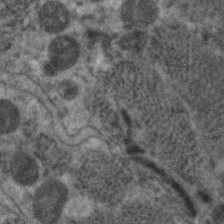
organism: C. elegans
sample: Pharynx